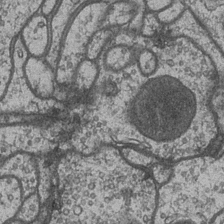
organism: Drosophila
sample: Optic medulla